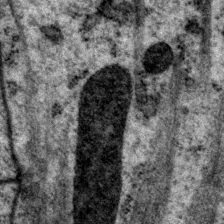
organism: P. pacificus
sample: Pharynx